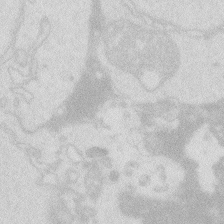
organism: Zebrafish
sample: Macrophage